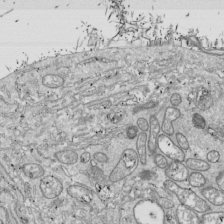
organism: Drosophila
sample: Cell division; meiosis; drosophila spermatocytes